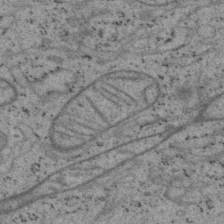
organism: Human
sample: HeLa cells